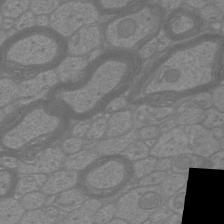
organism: Mouse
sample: Cortical neurons